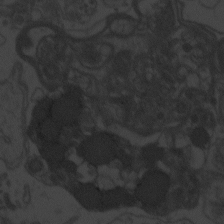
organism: Zebrafish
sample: Macrophage infected with Toxoplasma gondii